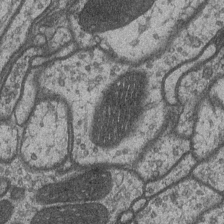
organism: Drosophila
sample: Optic medulla